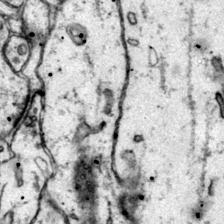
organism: Mouse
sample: Primary visual cortex